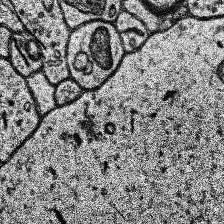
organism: Human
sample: Temporal Lobe